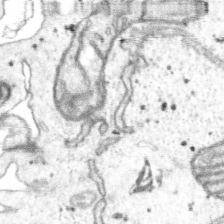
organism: Human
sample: HeLa cells